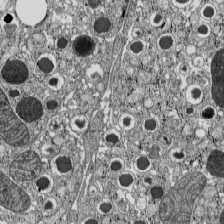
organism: C57BL Mouse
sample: Pancreatic islet